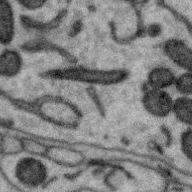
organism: Zebra finch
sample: Brain